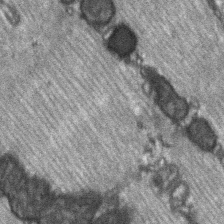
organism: C57BL Mouse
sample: Soleus